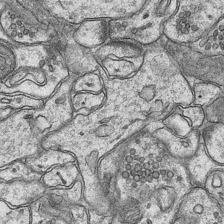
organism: Mouse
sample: CA1 Hippocampus